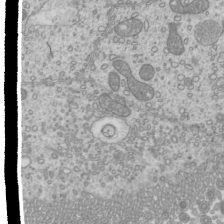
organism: Mouse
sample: Cilia; mouse epididymis